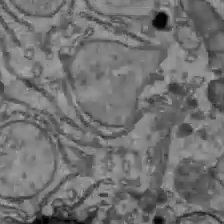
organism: C57BL Mouse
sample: Liver